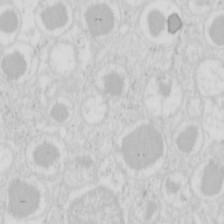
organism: Mouse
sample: Pancreas